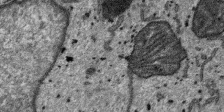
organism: Human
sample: Lung epithelial cells, uninfected (mock) control